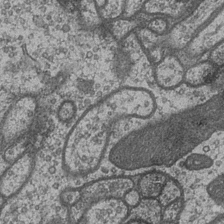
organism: Drosophila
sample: Optic medulla